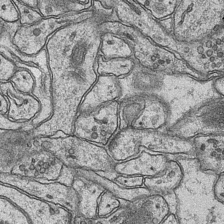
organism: Mouse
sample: CA1 Hippocampus